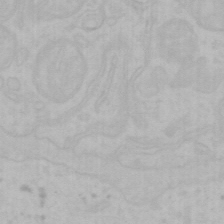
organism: Mouse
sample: Choroid plexus